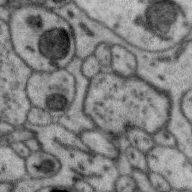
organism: Zebra finch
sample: Brain